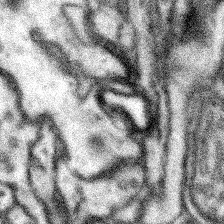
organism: Mouse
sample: Somatosensory cortex neuropil